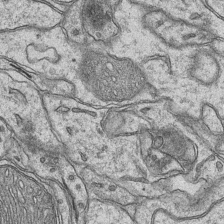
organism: Mouse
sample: CA1 Hippocampus